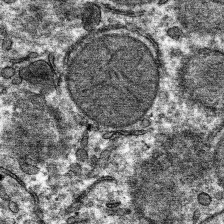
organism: Mouse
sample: Mouse hepatocytes